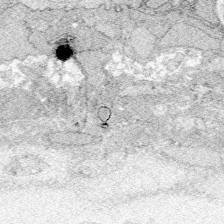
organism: Zebrafish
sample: Whole-Brain